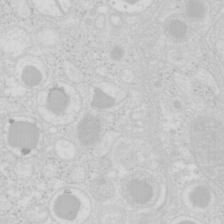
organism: Mouse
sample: Pancreas